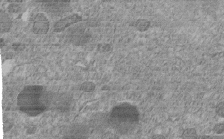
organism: C. elegans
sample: C. elegans embryo early stage